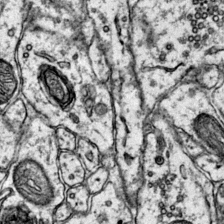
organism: Mouse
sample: Primary visual cortex